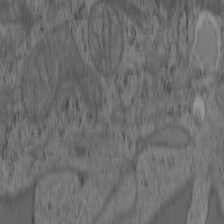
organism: Human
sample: HeLa cells